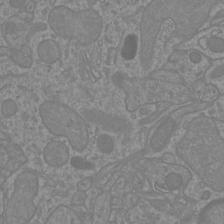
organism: Mouse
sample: Cortical neurons